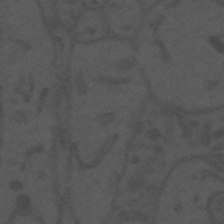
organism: Mouse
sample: Suprachiasmatic nucleus